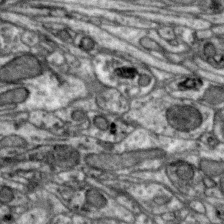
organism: Zebra finch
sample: Brain